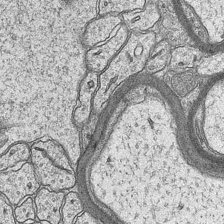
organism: Mouse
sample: CA1 Hippocampus